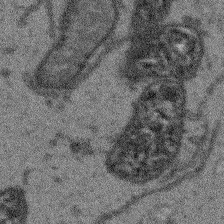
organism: Arabidopsis thaliana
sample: Root tip